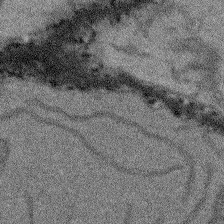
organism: Arabidopsis thaliana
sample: Root tip